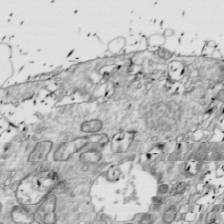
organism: Drosophila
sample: Cell division; meiosis; drosophila spermatocytes